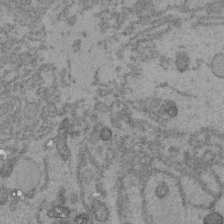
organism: C. elegans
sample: C. elegans embryo early stage